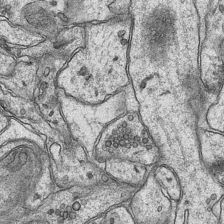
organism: Mouse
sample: CA1 Hippocampus